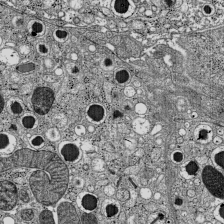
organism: C57BL Mouse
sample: Pancreatic islet